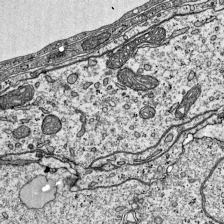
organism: Mouse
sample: Visual Cortex